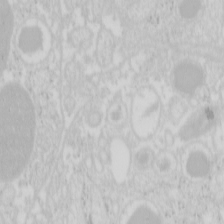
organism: Mouse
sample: Pancreas